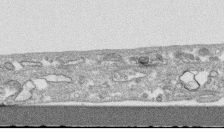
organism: Human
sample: CRL-1474